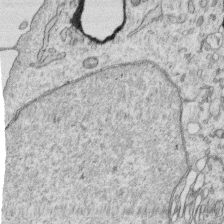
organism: Human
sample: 1205lu cells